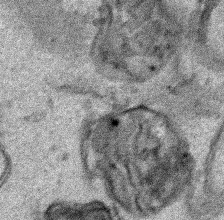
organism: Human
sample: Mitochondria in HCT116 cells